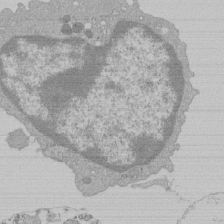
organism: Mouse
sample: Activated Pmel transgenic CD8+ T Cells